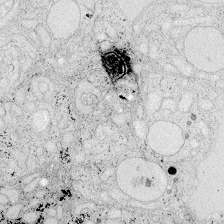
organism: Zebrafish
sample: Whole-Brain